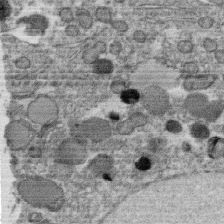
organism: C. elegans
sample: C. elegans oocyte; sperm cells